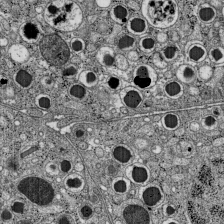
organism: C57BL Mouse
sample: Pancreatic islet